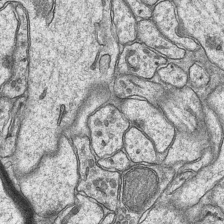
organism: Mouse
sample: CA1 Hippocampus